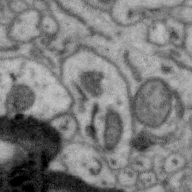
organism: Zebra finch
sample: Brain